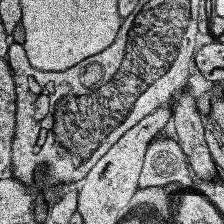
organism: Human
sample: Temporal Lobe